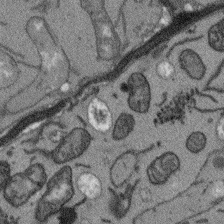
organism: Arabidopsis thaliana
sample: Root tip